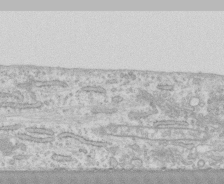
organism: Human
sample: CRL-1474